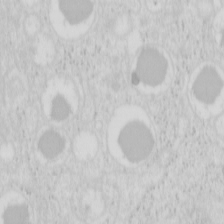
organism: Mouse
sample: Pancreas